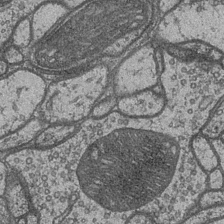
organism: Drosophila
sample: Optic medulla